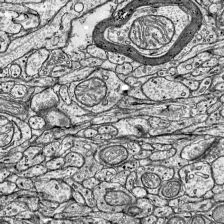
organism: Mouse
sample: Visual Cortex